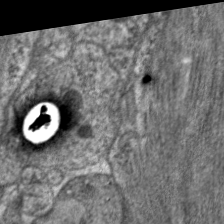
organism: C. elegans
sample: Pharynx